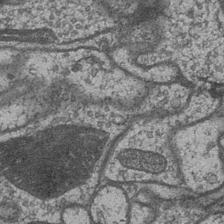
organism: Drosophila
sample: Optic medulla